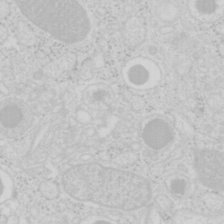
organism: Mouse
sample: Pancreas